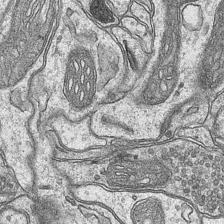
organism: Mouse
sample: CA1 Hippocampus